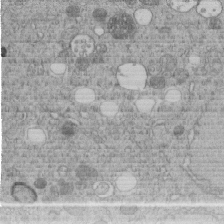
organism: C. elegans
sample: C. elegans embryo early stage